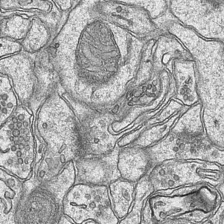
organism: Mouse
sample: CA1 Hippocampus